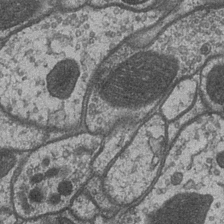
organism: Drosophila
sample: Optic medulla